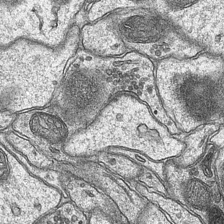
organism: Mouse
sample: CA1 Hippocampus